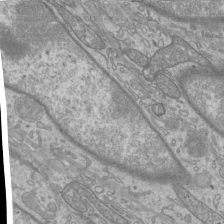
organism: Mouse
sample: Cilia; mouse epididymis